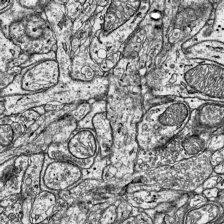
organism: Mouse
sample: Visual Cortex